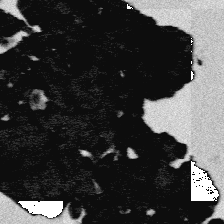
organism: Platynereis dumerilii